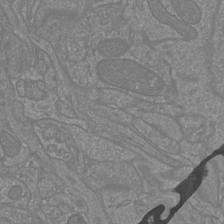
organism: Mouse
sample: Cortical neurons